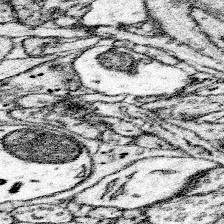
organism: Mouse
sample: Somatosensory cortex neuropil